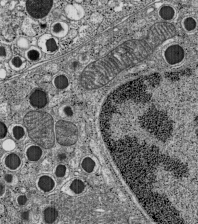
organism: C57BL Mouse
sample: Pancreatic islet